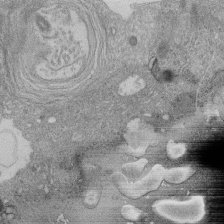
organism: Human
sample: Retinal organoid Rod and Cone cells